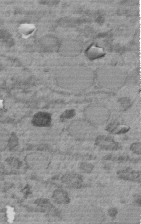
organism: C. elegans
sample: C. elegans embryo early stage